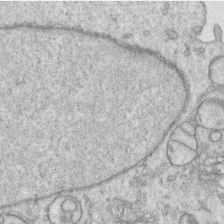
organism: Human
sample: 1205lu cells